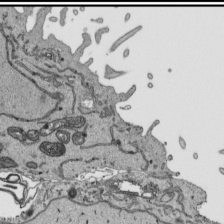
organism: Human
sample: Mitochondria in HCT116 cells